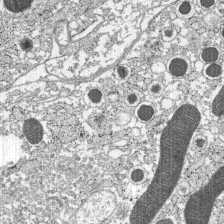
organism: C57BL Mouse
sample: Pancreatic islet